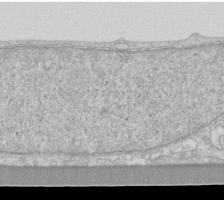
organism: Human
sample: Fibroblast cells